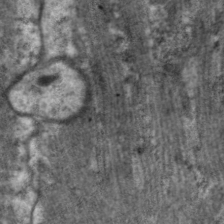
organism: C. elegans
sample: Pharynx